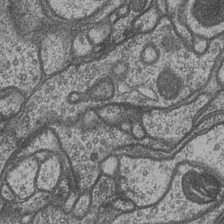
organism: Drosophila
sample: Optic medulla